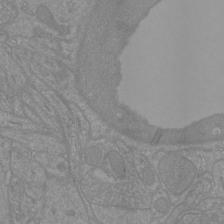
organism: Mouse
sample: Cortical neurons